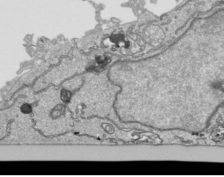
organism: Human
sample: Mitochondria in HCT116 cells